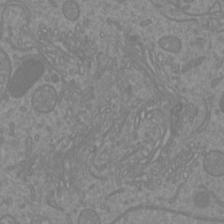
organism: Mouse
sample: Cortical neurons